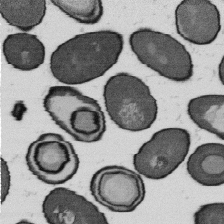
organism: B. subtilis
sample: Bacterial spore